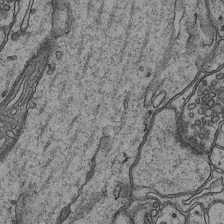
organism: Mouse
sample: CA1 Hippocampus